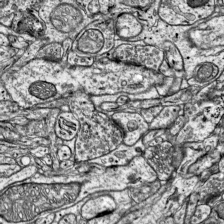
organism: Mouse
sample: Visual Cortex